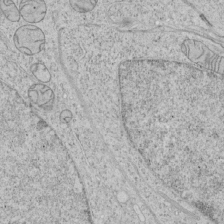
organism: Human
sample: Mitochondria in HCT116 cells